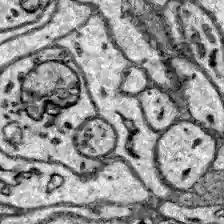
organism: Zebrafish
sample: Brain